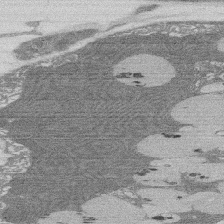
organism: Rat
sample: Salivary granule